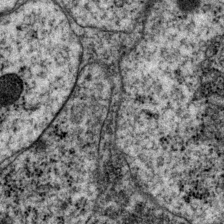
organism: P. pacificus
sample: Pharynx